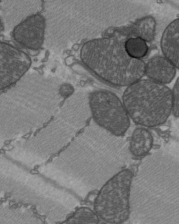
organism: C57BL Mouse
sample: Heart